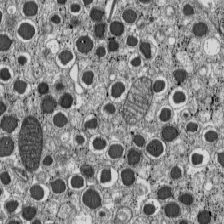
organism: C57BL Mouse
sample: Pancreatic islet